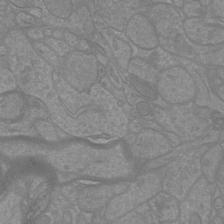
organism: Mouse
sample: Cortical neurons